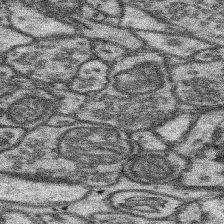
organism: Mouse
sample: Somatosensory cortex neuropil